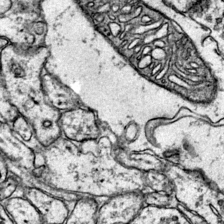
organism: Mouse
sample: Primary visual cortex